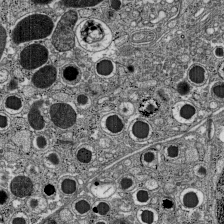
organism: C57BL Mouse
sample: Pancreatic islet